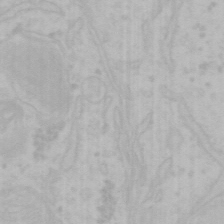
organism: Mouse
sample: Choroid plexus